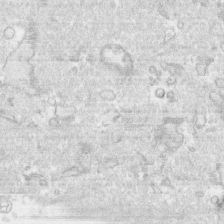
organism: Human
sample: CRL-1474